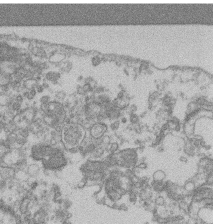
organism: Mouse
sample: T cell stromal cell synapse